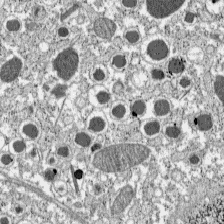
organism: C57BL Mouse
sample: Pancreatic islet